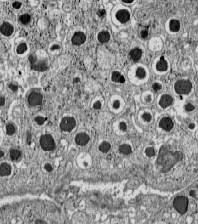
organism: C57BL Mouse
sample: Pancreatic islet